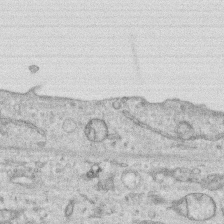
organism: Human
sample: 1205lu cells